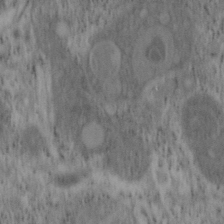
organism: Mouse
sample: OT-I killer T cells with ID8 ovarian cancer cells